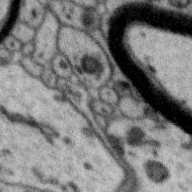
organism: Zebra finch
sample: Brain